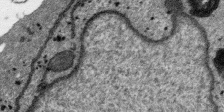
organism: Human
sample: Lung epithelial cells, uninfected (mock) control